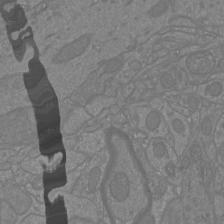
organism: Mouse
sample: Cortical neurons